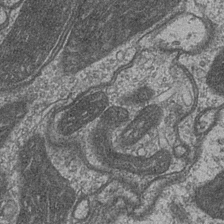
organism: Drosophila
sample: Optic medulla